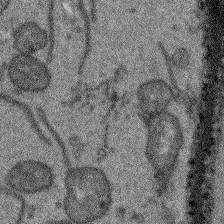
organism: Arabidopsis thaliana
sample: Root tip